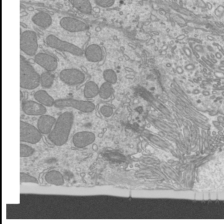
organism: Mouse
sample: Cilia; mouse epididymis